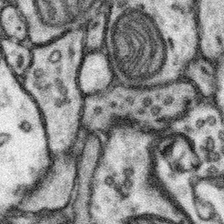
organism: Mouse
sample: Somatosensory cortex neuropil